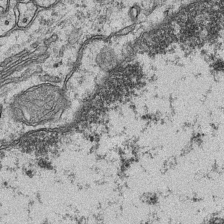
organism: Mouse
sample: CA1 Hippocampus